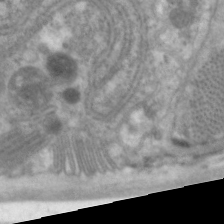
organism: C. elegans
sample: Pharynx